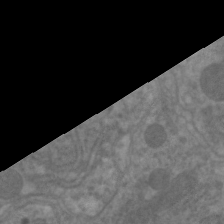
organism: C. elegans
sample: Pharynx